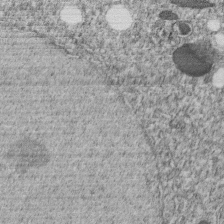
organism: C. elegans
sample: C. elegans embryo early stage